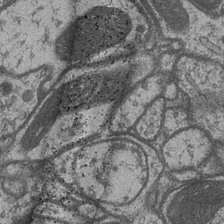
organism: Drosophila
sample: Optic medulla